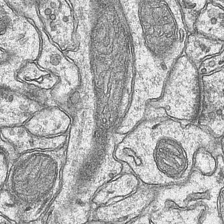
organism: Mouse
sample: CA1 Hippocampus